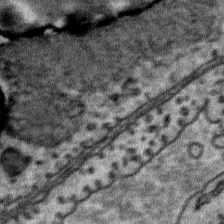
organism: Mouse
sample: Mouse Salivary gland